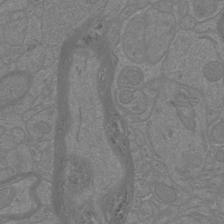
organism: Mouse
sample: Cortical neurons